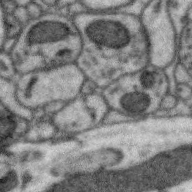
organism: Zebra finch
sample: Brain